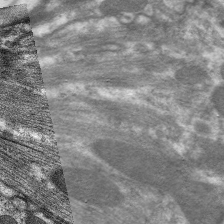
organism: C. elegans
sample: Pharynx